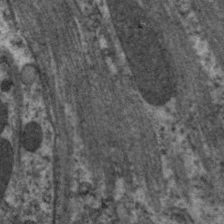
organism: C. elegans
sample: Pharynx